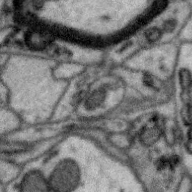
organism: Zebra finch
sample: Brain